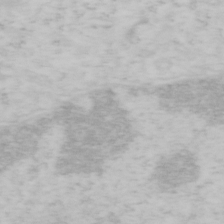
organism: Mouse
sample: OT-I killer T cells with ID8 ovarian cancer cells